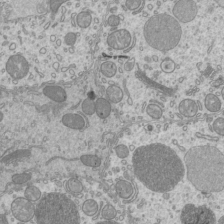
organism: Mouse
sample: Cilia; mouse epididymis